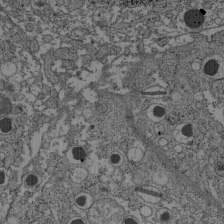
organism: C57BL Mouse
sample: Pancreatic islet